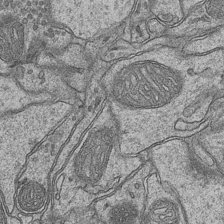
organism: Mouse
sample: CA1 Hippocampus